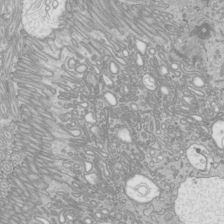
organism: Mouse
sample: Cilia; mouse epididymis